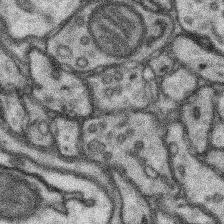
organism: Mouse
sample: Somatosensory cortex neuropil